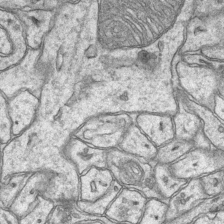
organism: Mouse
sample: CA1 Hippocampus